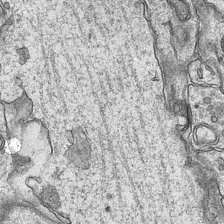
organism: Mouse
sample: CA1 Hippocampus